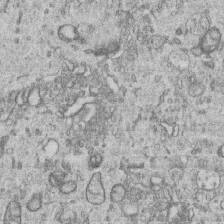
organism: Human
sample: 1205lu cells